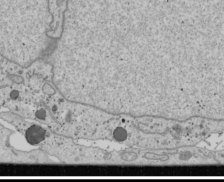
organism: Human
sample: Mitochondria in U2OS cells